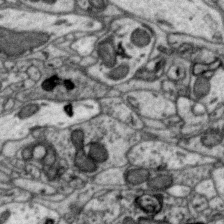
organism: Zebra finch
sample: Brain